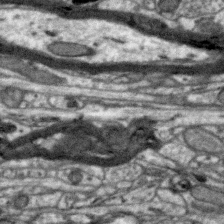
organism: Zebra finch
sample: Brain